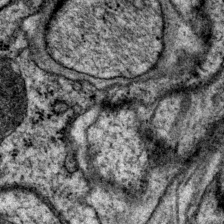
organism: P. pacificus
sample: Pharynx